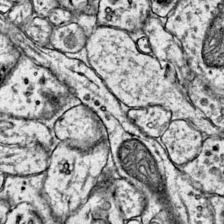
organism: Mouse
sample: Primary visual cortex